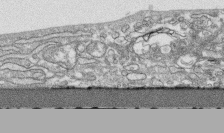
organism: Human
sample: CRL-1474